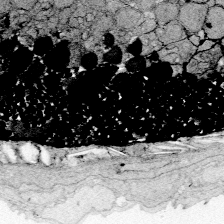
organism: Zebrafish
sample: Whole-Brain